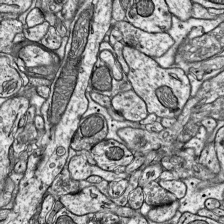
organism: Mouse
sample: Visual Cortex